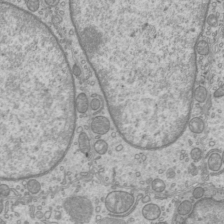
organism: Mouse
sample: Cilia; mouse epididymis